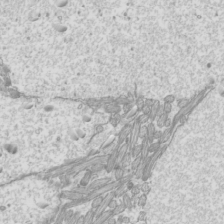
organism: Mouse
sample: Cilia; mouse epididymis